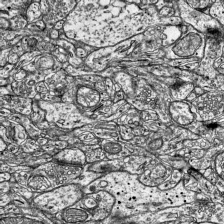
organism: Mouse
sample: Visual Cortex